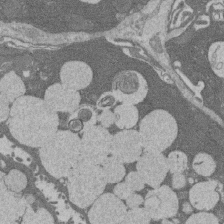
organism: Rat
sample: Salivary granule